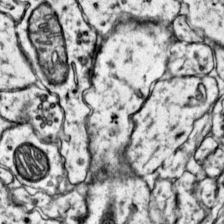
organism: Mouse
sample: Primary visual cortex